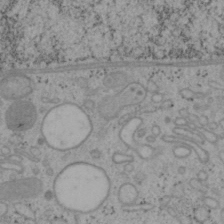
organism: Human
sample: HeLa cells